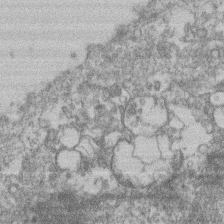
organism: Mouse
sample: T cell stromal cell synapse